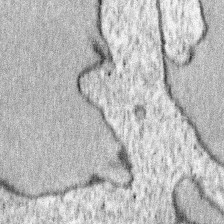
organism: Human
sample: HeLa cells